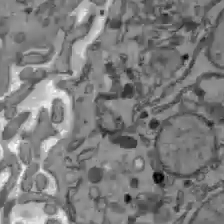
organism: C57BL Mouse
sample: Liver